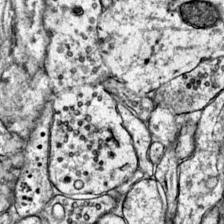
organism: Mouse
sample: Primary visual cortex